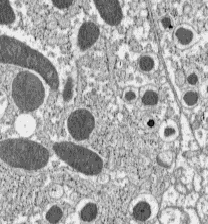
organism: C57BL Mouse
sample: Pancreatic islet